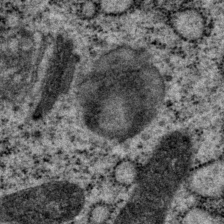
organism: P. pacificus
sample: Pharynx